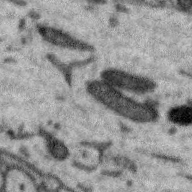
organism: Zebra finch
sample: Brain